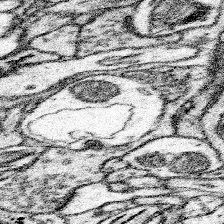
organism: Mouse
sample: Somatosensory cortex neuropil